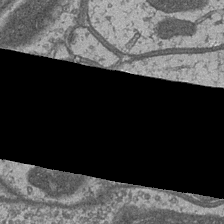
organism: Drosophila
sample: Optic medulla